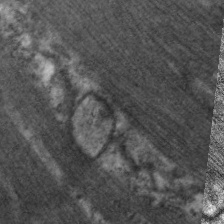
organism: C. elegans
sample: Pharynx